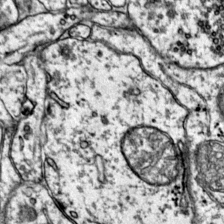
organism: Mouse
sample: Primary visual cortex